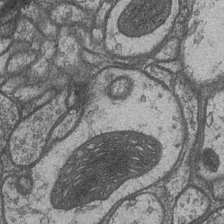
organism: Drosophila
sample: Optic medulla